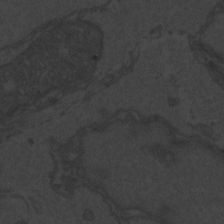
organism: Zebrafish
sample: Macrophage infected with Toxoplasma gondii